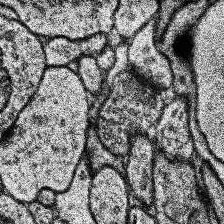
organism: Human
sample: Temporal Lobe